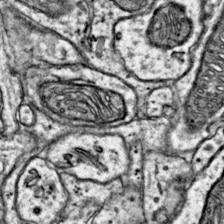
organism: Mouse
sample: Primary visual cortex